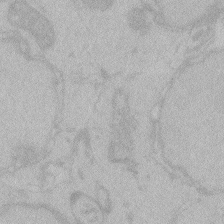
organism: Zebrafish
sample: Macrophage infected with Toxoplasma gondii